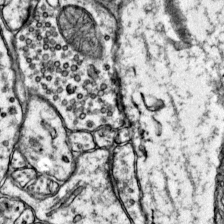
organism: Mouse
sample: Primary visual cortex